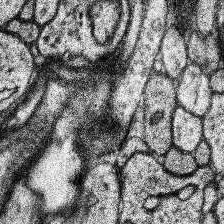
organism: Human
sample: Temporal Lobe